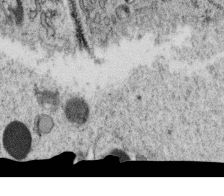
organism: C. elegans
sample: C. elegans oocyte; sperm cells